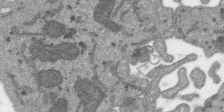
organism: Human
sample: Lung epithelial cells infected with SARS-CoV-2